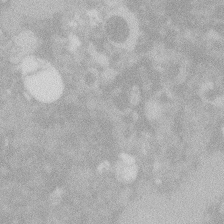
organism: Zebrafish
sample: Macrophage